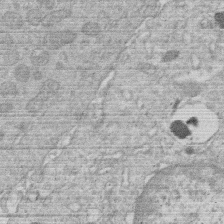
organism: Human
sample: Macrophage cells